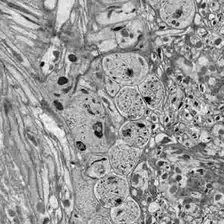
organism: Drosophila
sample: Optic lobe